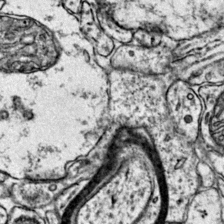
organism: Mouse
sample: Primary visual cortex